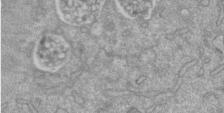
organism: Mouse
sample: ED-1 cell nuclei; centrioles